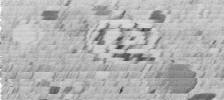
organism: C. elegans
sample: C. elegans embryo early stage